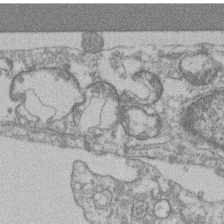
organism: Mouse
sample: T cell stromal cell synapse